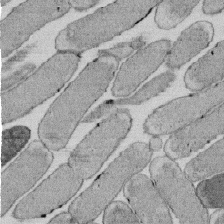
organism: E. coli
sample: Bacterial nucleoid